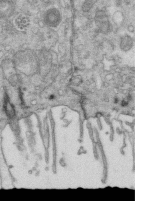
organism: Mouse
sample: Multiciliated cells